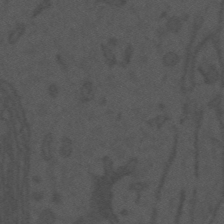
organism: Mouse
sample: Suprachiasmatic nucleus